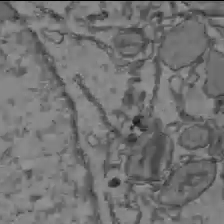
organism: C57BL Mouse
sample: Liver